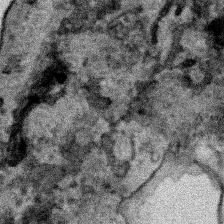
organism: Human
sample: Mitochondria in HCT116 cells